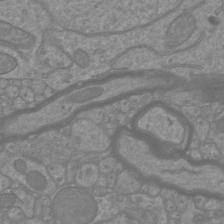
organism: Mouse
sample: Cortical neurons